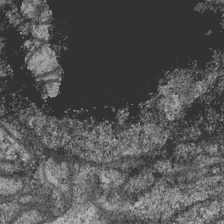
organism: Drosophila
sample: Optic medulla